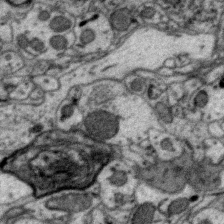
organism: Zebra finch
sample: Brain